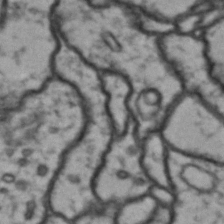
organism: Drosophila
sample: Brain